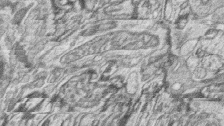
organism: Zebrafish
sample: synaptic ribbons in rod cells and cone cells